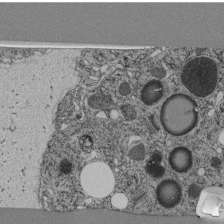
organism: C. elegans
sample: C. elegans pharynx